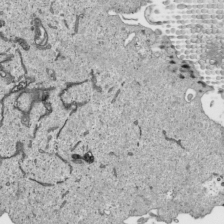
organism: Human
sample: Mitochondria in HCT116 cells